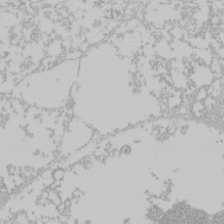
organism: Mouse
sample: Cancer cell death in ED-1 cells